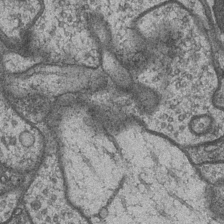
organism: Drosophila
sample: Optic medulla